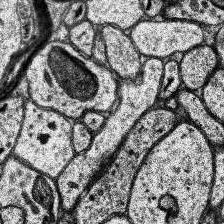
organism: Human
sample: Temporal Lobe